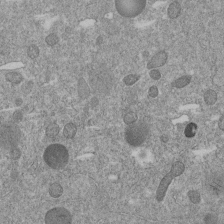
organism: C. elegans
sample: C. elegans embryo early stage